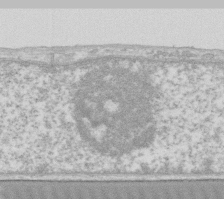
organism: Human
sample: Fibroblast cells